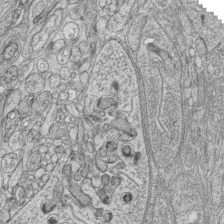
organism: Zebrafish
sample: synaptic ribbons in rod cells and cone cells